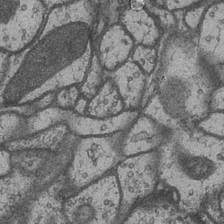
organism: Drosophila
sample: Optic medulla